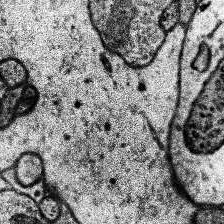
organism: Human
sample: Temporal Lobe